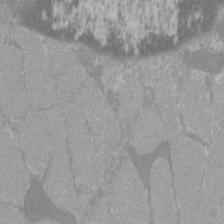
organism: C57BL Mouse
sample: Tibialis anterior muscle cell